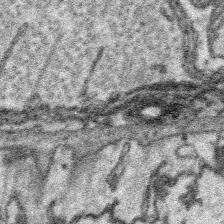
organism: Platynereis dumerilii